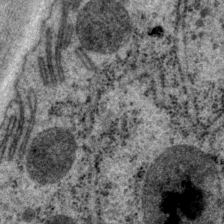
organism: P. pacificus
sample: Pharynx